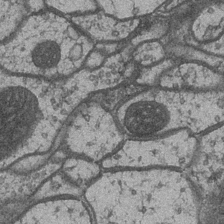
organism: Drosophila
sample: Optic medulla